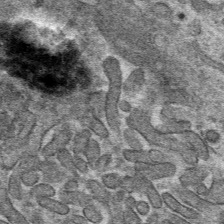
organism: Mouse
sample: Mouse hepatocytes